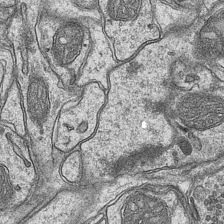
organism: Mouse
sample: CA1 Hippocampus